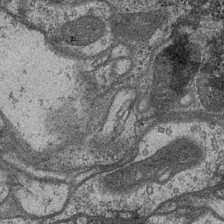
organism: Drosophila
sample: Optic medulla